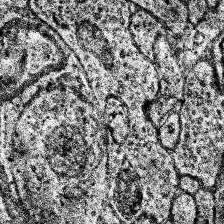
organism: Human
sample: Temporal Lobe